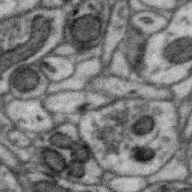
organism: Zebra finch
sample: Brain